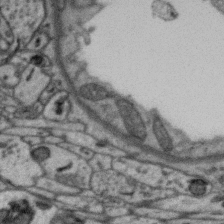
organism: Zebra finch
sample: Brain